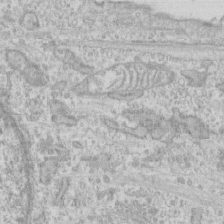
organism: Human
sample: CRL-1474